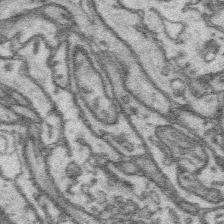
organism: Platynereis dumerilii